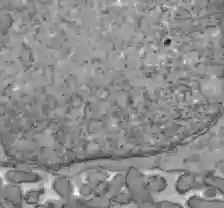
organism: C57BL Mouse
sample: Liver